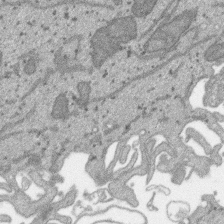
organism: Human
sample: Lung epithelial cells infected with SARS-CoV-2